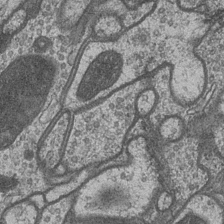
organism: Drosophila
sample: Optic medulla